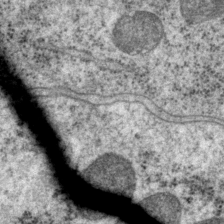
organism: P. pacificus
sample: Pharynx